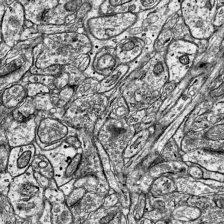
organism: Mouse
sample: Visual Cortex